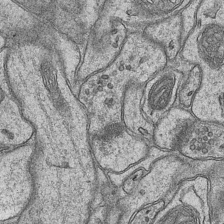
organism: Mouse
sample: CA1 Hippocampus